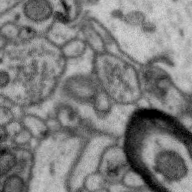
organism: Zebra finch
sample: Brain